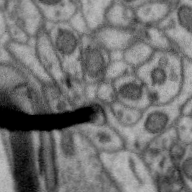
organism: Zebra finch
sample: Brain